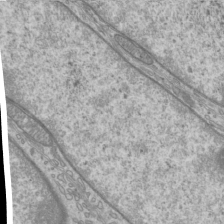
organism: Mouse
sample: Cilia; mouse epididymis